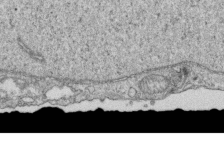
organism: Human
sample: HeLa cell HIV synapse